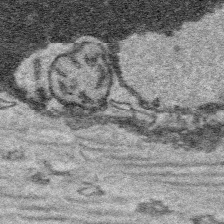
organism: Platynereis dumerilii